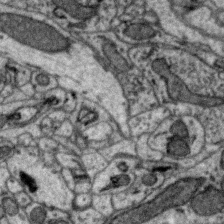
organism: Zebra finch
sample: Brain